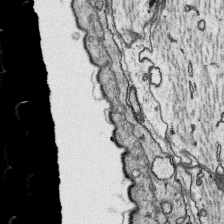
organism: Platynereis dumerilii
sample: Parapodia